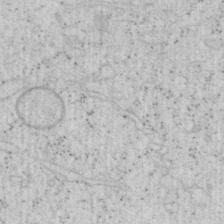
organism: Human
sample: HeLa cells